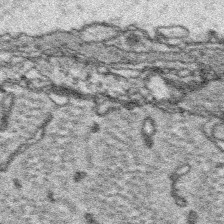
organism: Platynereis dumerilii